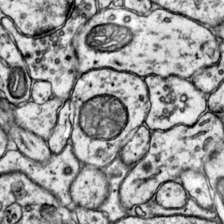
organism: Mouse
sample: Primary visual cortex